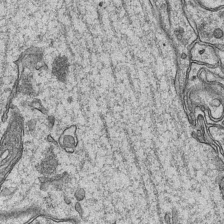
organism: Mouse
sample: CA1 Hippocampus